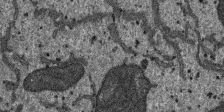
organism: Human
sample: Lung epithelial cells infected with SARS-CoV-2